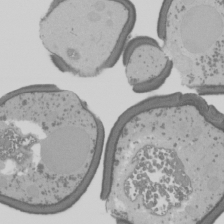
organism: S. cerevisiae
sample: Yeast cells